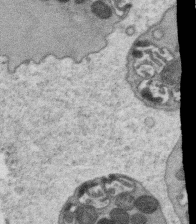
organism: C. elegans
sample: C. elegans oocyte; sperm cells